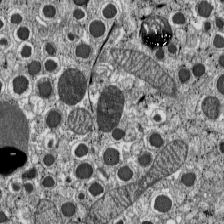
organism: C57BL Mouse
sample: Pancreatic islet